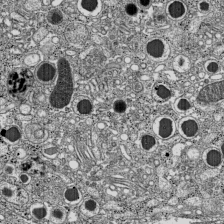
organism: C57BL Mouse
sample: Pancreatic islet